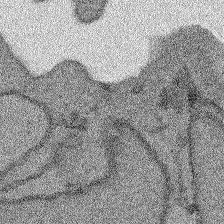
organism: Human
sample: HeLa cells